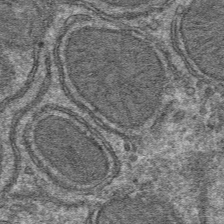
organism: Mouse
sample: Mouse hepatocytes